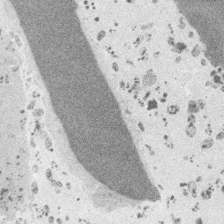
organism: Embia sp.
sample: Silk gland